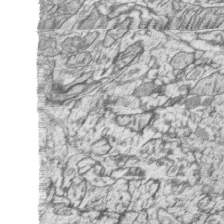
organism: Zebrafish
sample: synaptic ribbons in rod cells and cone cells